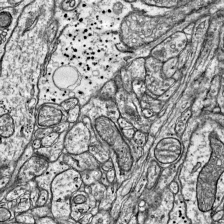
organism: Mouse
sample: Visual Cortex